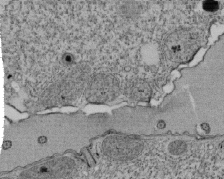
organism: Tetrahymena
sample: Cilia in tetrahymena